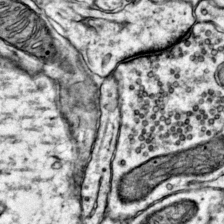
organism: Mouse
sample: Primary visual cortex